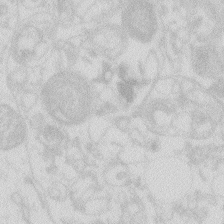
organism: Zebrafish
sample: Macrophage